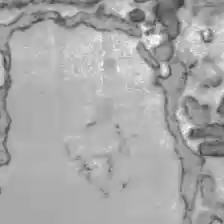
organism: C57BL Mouse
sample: Liver